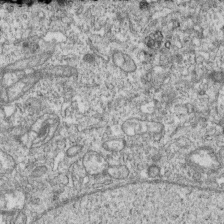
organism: Human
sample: HeLa cell HIV synapse